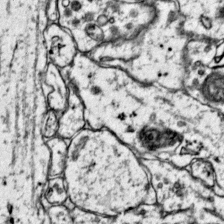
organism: Mouse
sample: Primary visual cortex